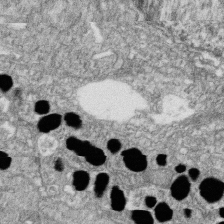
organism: Zebrafish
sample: Cilia; retinal pigment epithelium